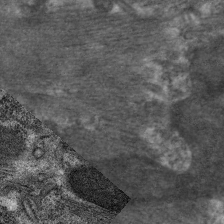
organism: C. elegans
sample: Pharynx